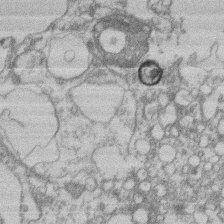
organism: Mouse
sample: T cell stromal cell synapse